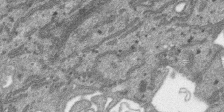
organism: Human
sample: Lung epithelial cells infected with SARS-CoV-2